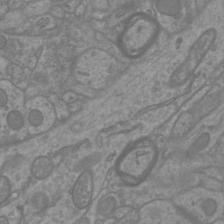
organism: Mouse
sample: Cortical neurons